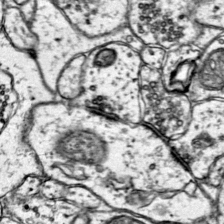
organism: Mouse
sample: Primary visual cortex